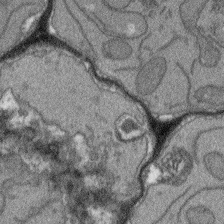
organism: Arabidopsis thaliana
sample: Root tip